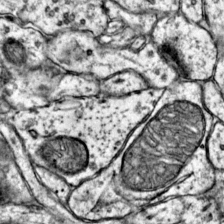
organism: Mouse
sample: Primary visual cortex